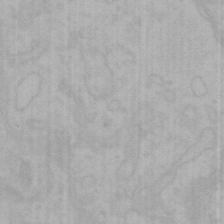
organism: Mouse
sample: Choroid plexus